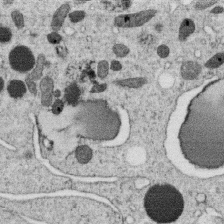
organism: C. elegans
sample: C. elegans oocyte; sperm cells